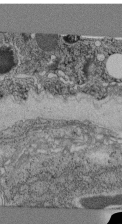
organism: C. elegans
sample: C. elegans pharynx